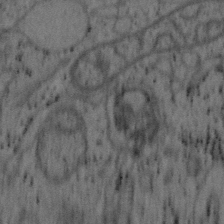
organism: Human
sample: HeLa cells